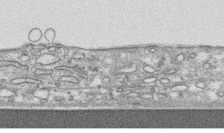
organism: Human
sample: CRL-1474